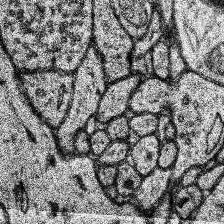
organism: Human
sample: Temporal Lobe